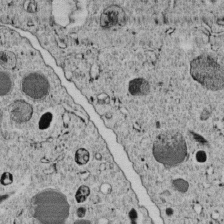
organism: C. elegans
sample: C. elegans embryo early stage